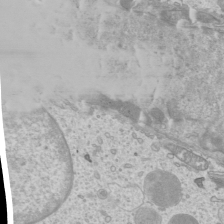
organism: Mouse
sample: Cilia; mouse epididymis